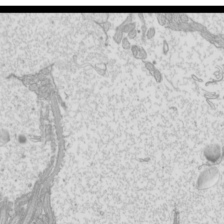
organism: Mouse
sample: Cilia; mouse epididymis